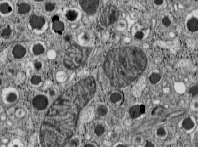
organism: C57BL Mouse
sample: Pancreatic islet